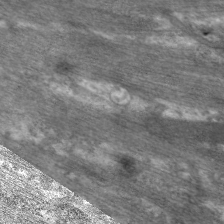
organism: C. elegans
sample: Pharynx